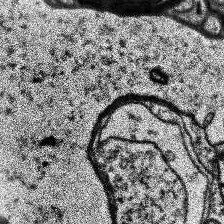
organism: Human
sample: Temporal Lobe